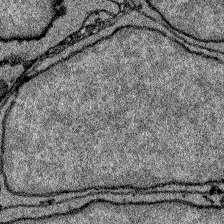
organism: Zebrafish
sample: Larval olfactory bulb